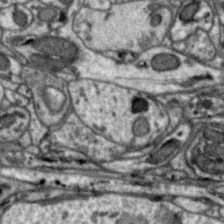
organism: Zebra finch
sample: Brain